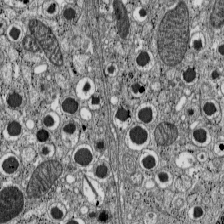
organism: C57BL Mouse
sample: Pancreatic islet